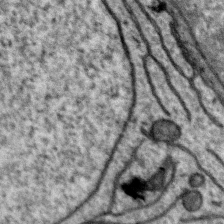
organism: Zebra finch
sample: Brain